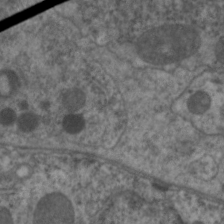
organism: C. elegans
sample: Pharynx